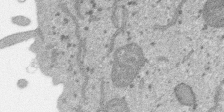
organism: Human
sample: Lung epithelial cells infected with SARS-CoV-2